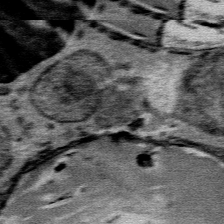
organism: Mouse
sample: Mouse Salivary gland